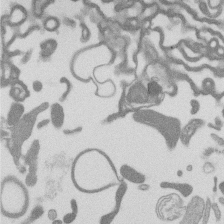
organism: Mouse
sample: Dividing mouse embryo 1 cell stage